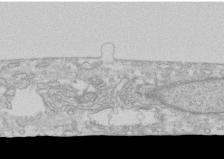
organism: Human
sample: CRL-1474